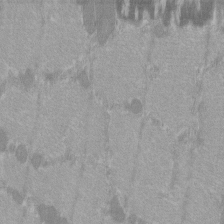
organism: C57BL Mouse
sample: Tibialis anterior muscle cell